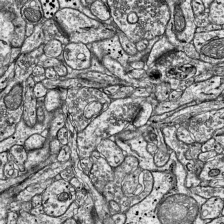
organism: Mouse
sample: Visual Cortex